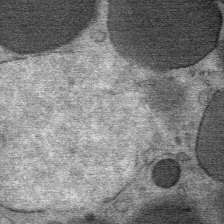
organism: Mouse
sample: Mouse Salivary gland